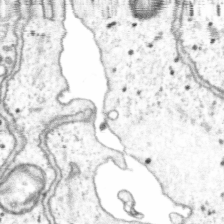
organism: Human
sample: HeLa cells